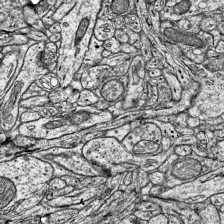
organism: Mouse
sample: Visual Cortex